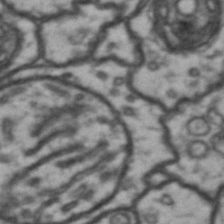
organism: Drosophila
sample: Brain